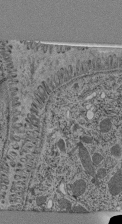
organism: C. elegans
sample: C. elegans pharynx